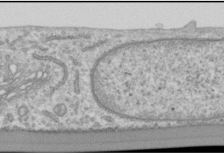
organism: Human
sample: Cilia; basal body in RPE cells